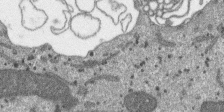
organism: Human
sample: Lung epithelial cells infected with SARS-CoV-2